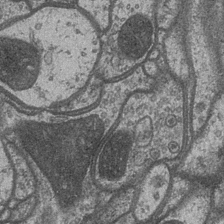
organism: Drosophila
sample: Optic medulla